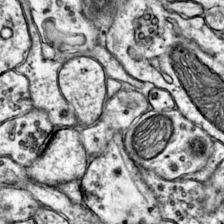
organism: Mouse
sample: Primary visual cortex